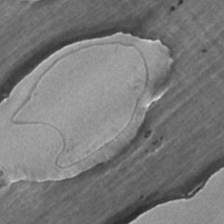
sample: Trachea